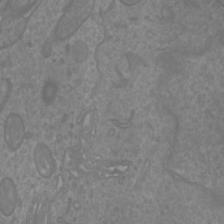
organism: Mouse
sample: Cortical neurons